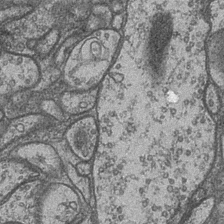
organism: Drosophila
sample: Optic medulla